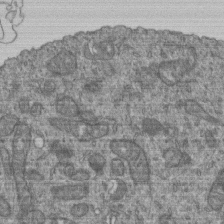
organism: Human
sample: Retinal organoid Rod and Cone cells